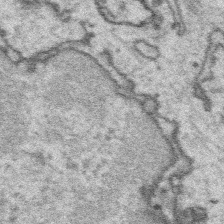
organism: Platynereis dumerilii